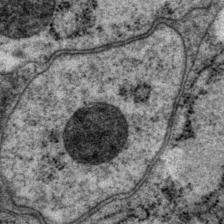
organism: P. pacificus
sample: Pharynx